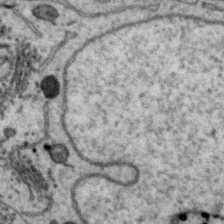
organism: Zebra finch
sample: Brain